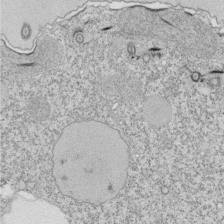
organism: Tetrahymena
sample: Cilia in tetrahymena